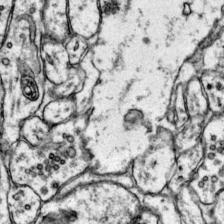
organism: Mouse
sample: Primary visual cortex